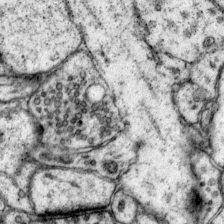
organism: Mouse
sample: Primary visual cortex